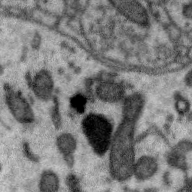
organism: Zebra finch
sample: Brain